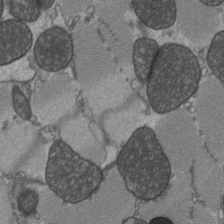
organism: C57BL Mouse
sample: Heart